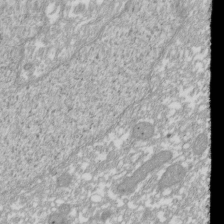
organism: Xenopus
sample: Cilia; centrioles in frog embryo cells